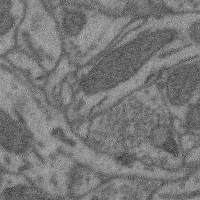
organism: Mouse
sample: Cerebral cortex